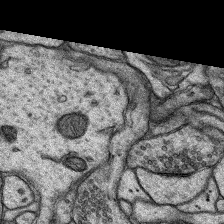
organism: Rat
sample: Hippocampus